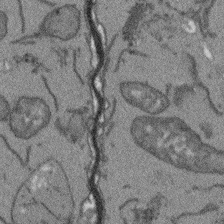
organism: Arabidopsis thaliana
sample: Root tip